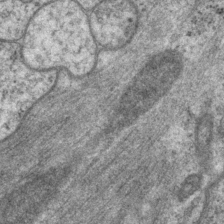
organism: P. pacificus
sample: Pharynx